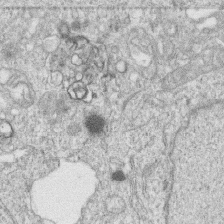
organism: Human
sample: HeLa cell HIV synapse